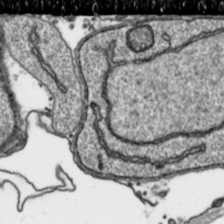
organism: Toxoplasma gondii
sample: Parasites in a vacuole inside a host cell